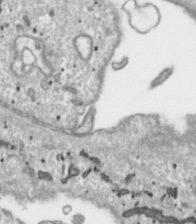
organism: Toxoplasma gondii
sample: Parasites in a vacuole inside a host cell